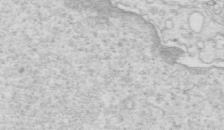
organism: Mouse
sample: Multiciliated cells